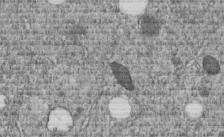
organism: C. elegans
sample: C. elegans embryo early stage